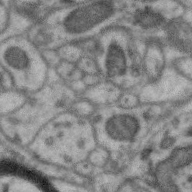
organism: Zebra finch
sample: Brain